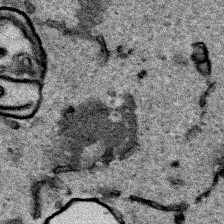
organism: Human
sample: Mitochondria in HCT116 cells